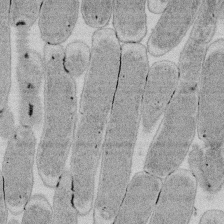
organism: E. coli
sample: Bacterial nucleoid